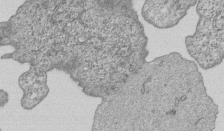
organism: Human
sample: MDA-MB-231 cells